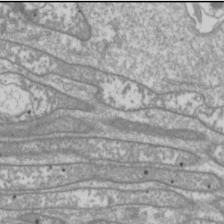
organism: Drosophila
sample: Cell division; meiosis; drosophila spermatocytes